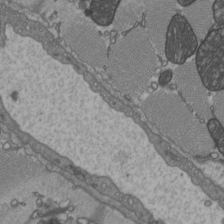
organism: C57BL Mouse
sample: Heart